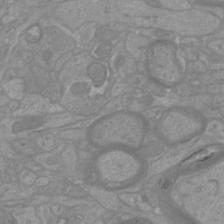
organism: Mouse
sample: Cortical neurons